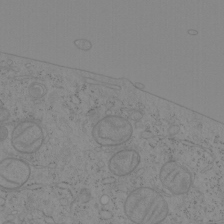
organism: Human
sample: HeLa cells